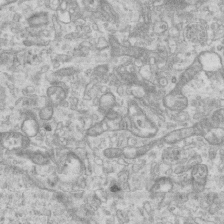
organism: Mouse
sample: Centriole in ependymal cells